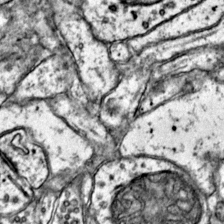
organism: Mouse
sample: Primary visual cortex